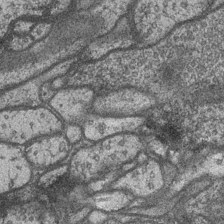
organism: Drosophila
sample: Optic medulla